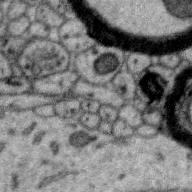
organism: Zebra finch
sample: Brain